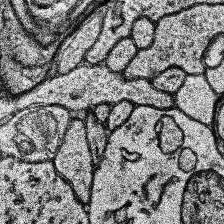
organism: Human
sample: Temporal Lobe